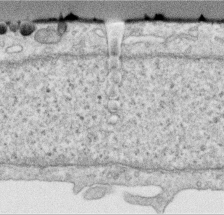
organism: Human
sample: Centriole in RPE cells